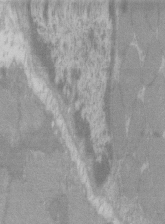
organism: C57BL Mouse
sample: Tibialis anterior muscle cell